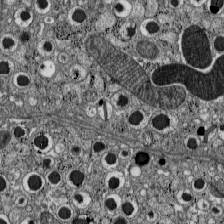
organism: C57BL Mouse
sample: Pancreatic islet